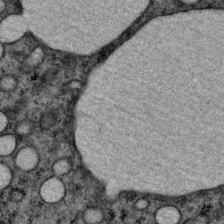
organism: P. pacificus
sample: Pharynx